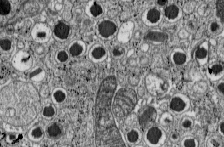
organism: C57BL Mouse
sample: Pancreatic islet